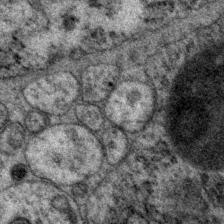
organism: P. pacificus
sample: Pharynx